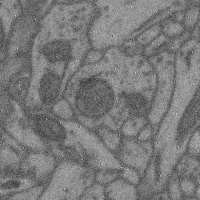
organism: Mouse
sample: Cerebral cortex